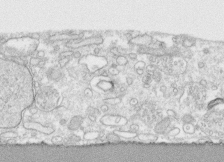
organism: Human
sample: CRL-1474